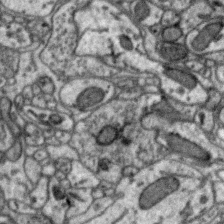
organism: Zebra finch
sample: Brain